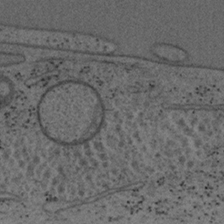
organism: Human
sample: HeLa cells